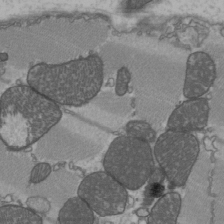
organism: C57BL Mouse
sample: Heart